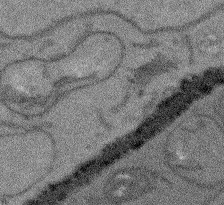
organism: Arabidopsis thaliana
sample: Root tip